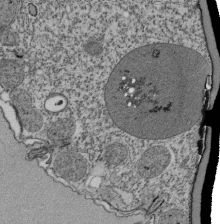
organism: Tetrahymena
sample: Cilia in tetrahymena